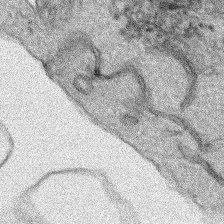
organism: Human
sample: Mitochondria in HCT116 cells